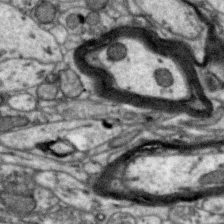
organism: Zebra finch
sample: Brain